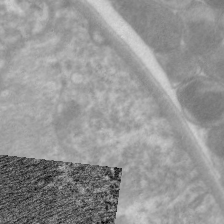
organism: C. elegans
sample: Pharynx